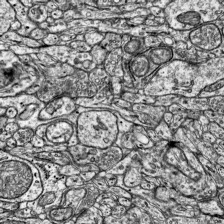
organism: Mouse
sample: Visual Cortex